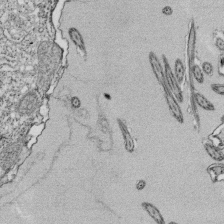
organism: Tetrahymena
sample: Cilia in tetrahymena